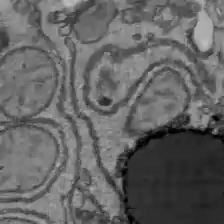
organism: C57BL Mouse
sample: Liver